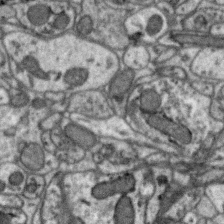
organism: Zebra finch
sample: Brain